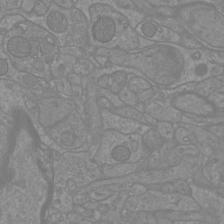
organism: Mouse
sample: Cortical neurons